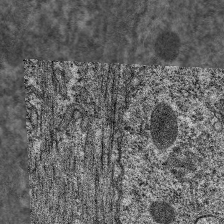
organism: C. elegans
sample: Pharynx